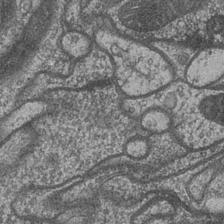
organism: Drosophila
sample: Optic medulla